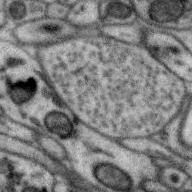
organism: Zebra finch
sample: Brain